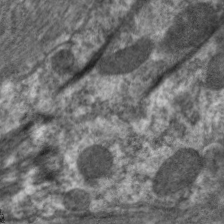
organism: C. elegans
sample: Pharynx